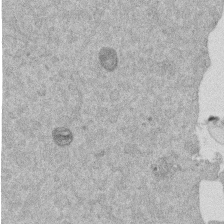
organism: Mouse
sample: Dividing mouse embryo 1 cell stage